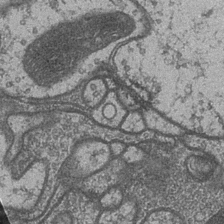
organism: Drosophila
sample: Optic medulla